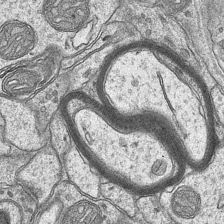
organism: Mouse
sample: CA1 Hippocampus